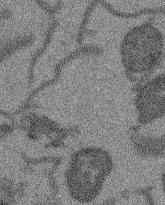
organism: Arabidopsis thaliana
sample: Root tip